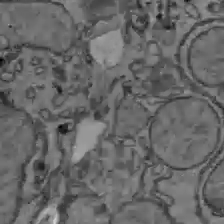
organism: C57BL Mouse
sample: Liver